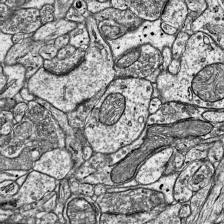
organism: Mouse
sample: Visual Cortex